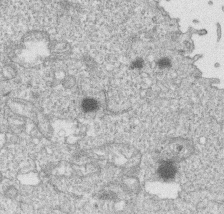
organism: Human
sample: HeLa cell HIV synapse